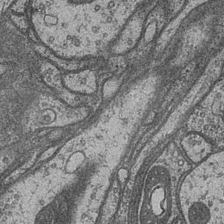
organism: Drosophila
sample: Optic medulla